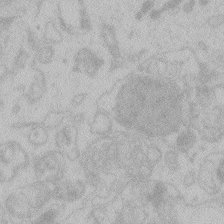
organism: Zebrafish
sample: Macrophage infected with Toxoplasma gondii